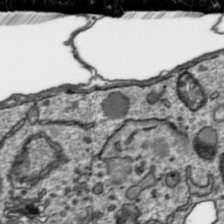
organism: Toxoplasma gondii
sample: Parasites in a vacuole inside a host cell